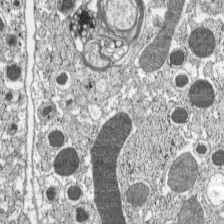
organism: C57BL Mouse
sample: Pancreatic islet